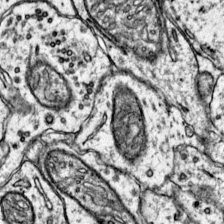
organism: Mouse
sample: Primary visual cortex